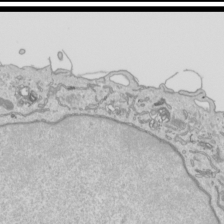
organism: Human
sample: Mitochondria in HCT116 cells